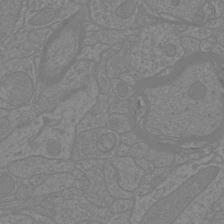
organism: Mouse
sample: Cortical neurons